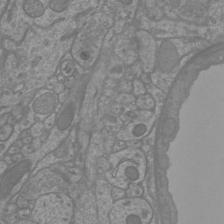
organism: Mouse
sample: Cortical neurons